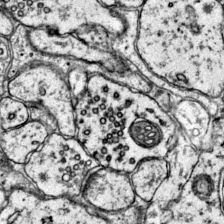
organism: Mouse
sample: Primary visual cortex